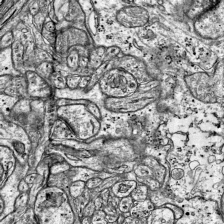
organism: Mouse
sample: Visual Cortex